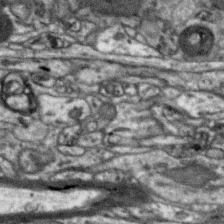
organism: Zebra finch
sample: Brain